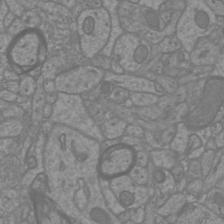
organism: Mouse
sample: Cortical neurons